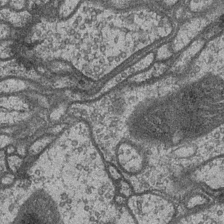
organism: Drosophila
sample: Optic medulla